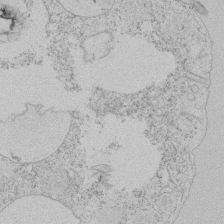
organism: Tetrahymena